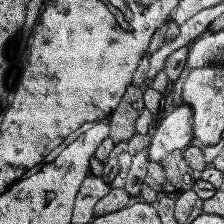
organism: Human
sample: Temporal Lobe